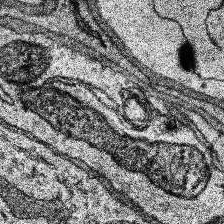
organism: Human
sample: Temporal Lobe